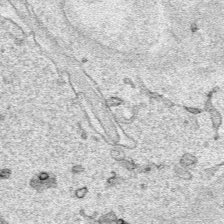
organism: Human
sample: Mitochondria in HCT116 cells